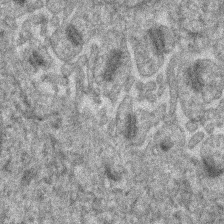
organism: Human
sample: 1205lu cells